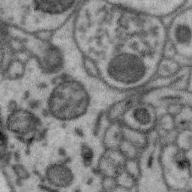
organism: Zebra finch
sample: Brain